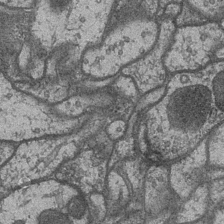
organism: Drosophila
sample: Optic medulla